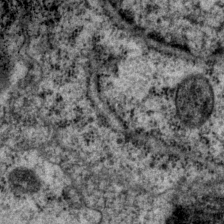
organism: P. pacificus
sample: Pharynx